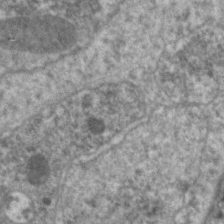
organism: C. elegans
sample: Pharynx